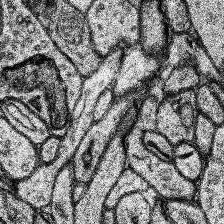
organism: Human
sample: Temporal Lobe